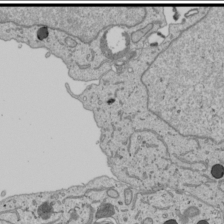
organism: Human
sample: Mitochondria in U2OS cells